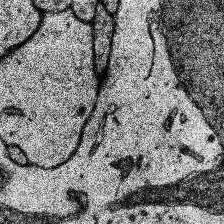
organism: Human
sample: Temporal Lobe